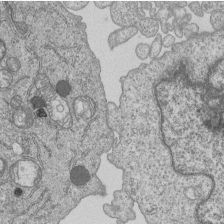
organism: Human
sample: MDA-MB-231 cells